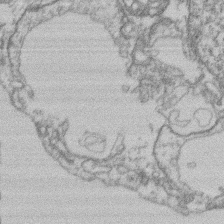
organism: Mouse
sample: T cell stromal cell synapse